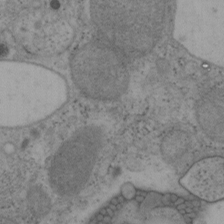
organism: Mouse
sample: OT-I killer T cells with ID8 ovarian cancer cells